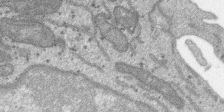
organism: Human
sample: Lung epithelial cells infected with SARS-CoV-2